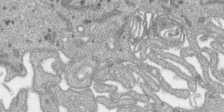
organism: Human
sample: Lung epithelial cells infected with SARS-CoV-2